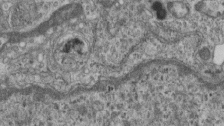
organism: Mouse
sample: Centriole in ependymal cells